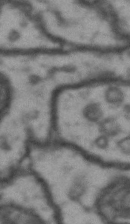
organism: Drosophila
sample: Brain